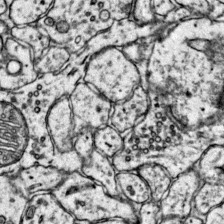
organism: Mouse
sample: Primary visual cortex